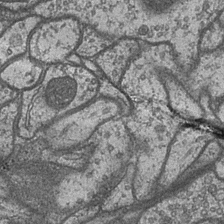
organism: Drosophila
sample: Optic medulla